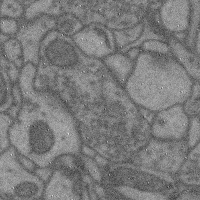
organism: Mouse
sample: Cerebral cortex